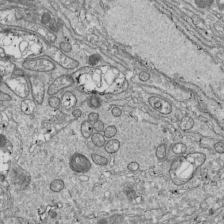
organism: Drosophila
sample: Cell division; meiosis; drosophila spermatocytes